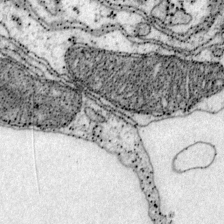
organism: Mouse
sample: Primary visual cortex